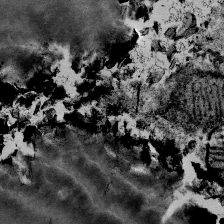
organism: Mouse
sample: Mouse Salivary gland